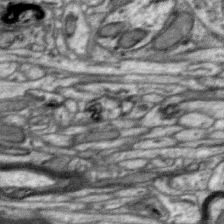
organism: Zebra finch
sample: Brain